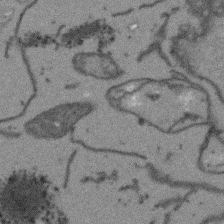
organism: Arabidopsis thaliana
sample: Root tip